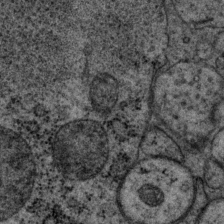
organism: P. pacificus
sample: Pharynx